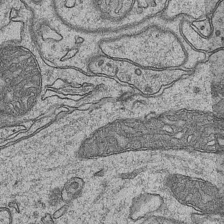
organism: Mouse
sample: CA1 Hippocampus